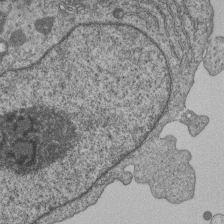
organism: Human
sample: MDA-MB-231 cells